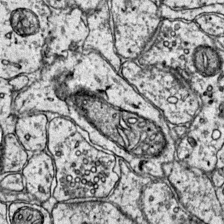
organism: Mouse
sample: Primary visual cortex